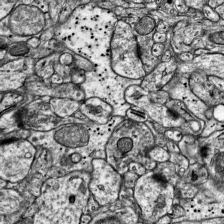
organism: Mouse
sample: Visual Cortex